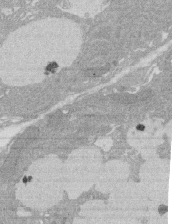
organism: Rat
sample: Salivary granule